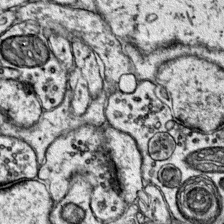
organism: Mouse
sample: Primary visual cortex